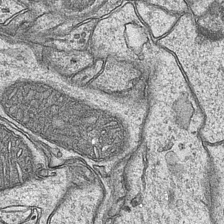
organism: Mouse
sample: CA1 Hippocampus